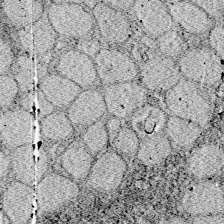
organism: Zebrafish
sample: Whole-Brain